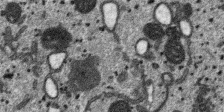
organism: Human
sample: Lung epithelial cells infected with SARS-CoV-2